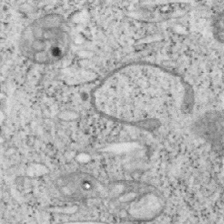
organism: Mouse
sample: OT-I killer T cells with ID8 ovarian cancer cells